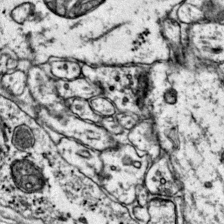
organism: Mouse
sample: Primary visual cortex